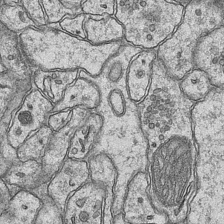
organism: Mouse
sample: CA1 Hippocampus